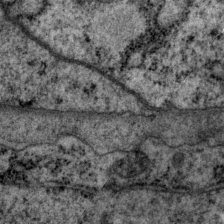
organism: P. pacificus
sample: Pharynx